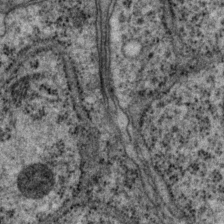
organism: P. pacificus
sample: Pharynx